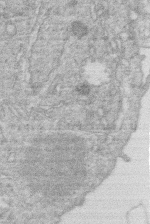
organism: Human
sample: Macrophage cells